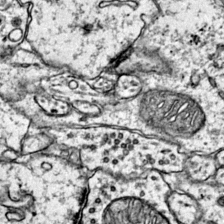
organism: Mouse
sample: Primary visual cortex